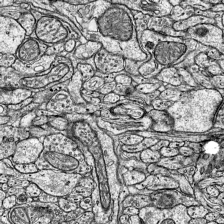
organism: Mouse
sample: Visual Cortex